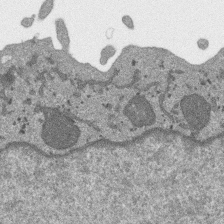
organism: Human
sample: Lung epithelial cells infected with SARS-CoV-2